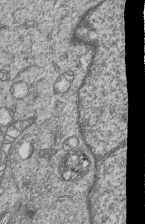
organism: Human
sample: MDA-MB-231 cells